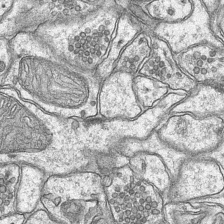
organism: Mouse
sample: CA1 Hippocampus